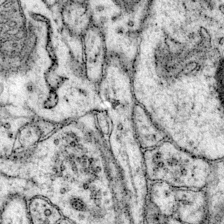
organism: Mouse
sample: Primary visual cortex